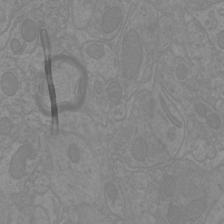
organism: Mouse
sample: Cortical neurons